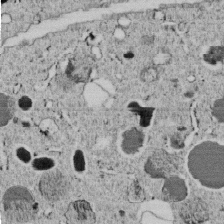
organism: C. elegans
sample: C. elegans embryo early stage